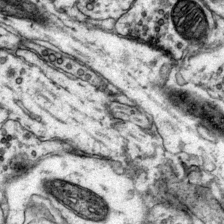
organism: Mouse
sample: Primary visual cortex